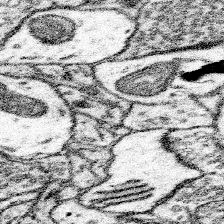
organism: Mouse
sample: Somatosensory cortex neuropil